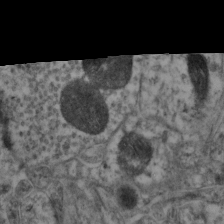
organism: Mouse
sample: Neocortex